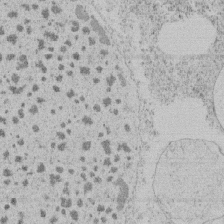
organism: Tetrahymena